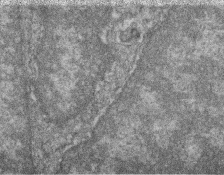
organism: Zebrafish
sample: Cilia; retinal pigment epithelium